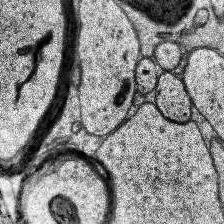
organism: Human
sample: Temporal Lobe